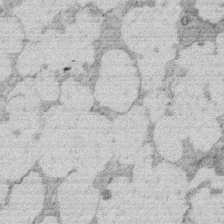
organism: Rat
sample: Salivary granule